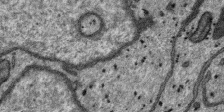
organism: Human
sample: Lung epithelial cells, uninfected (mock) control